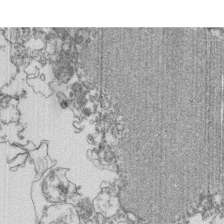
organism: Human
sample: HeLa cell HIV synapse